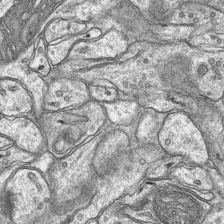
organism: Mouse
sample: CA1 Hippocampus